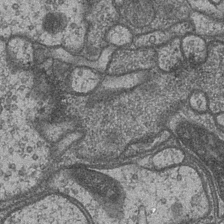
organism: Drosophila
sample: Optic medulla